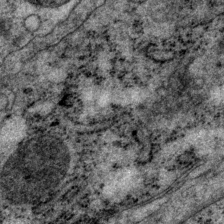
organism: P. pacificus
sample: Pharynx